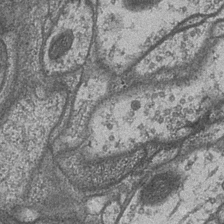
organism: Drosophila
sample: Optic medulla